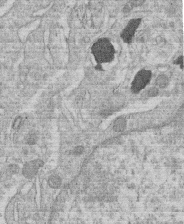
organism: Human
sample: Macrophage cells